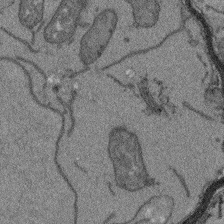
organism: Arabidopsis thaliana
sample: Root tip